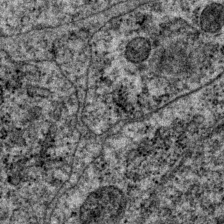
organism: P. pacificus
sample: Pharynx